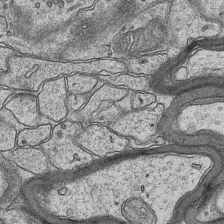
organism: Mouse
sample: CA1 Hippocampus